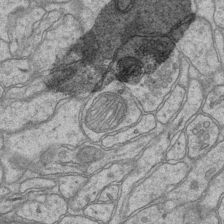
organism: Mouse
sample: CA1 Hippocampus